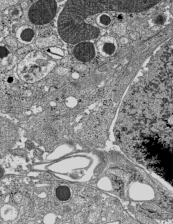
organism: C57BL Mouse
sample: Pancreatic islet